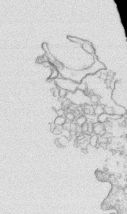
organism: Human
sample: HeLa cell HIV synapse